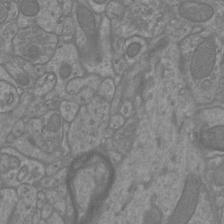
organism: Mouse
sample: Cortical neurons